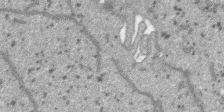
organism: Human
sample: Lung epithelial cells infected with SARS-CoV-2